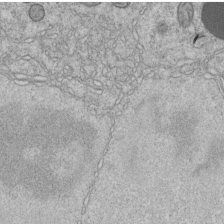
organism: C. elegans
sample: C. elegans embryo early stage